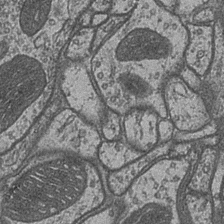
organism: Drosophila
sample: Optic medulla